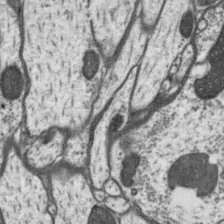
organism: Drosophila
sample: Protocerebral bridge